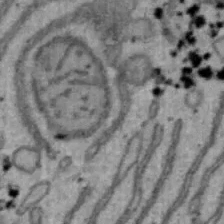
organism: Mouse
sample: Liver